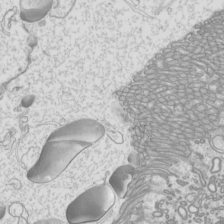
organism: Mouse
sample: Cilia; mouse epididymis